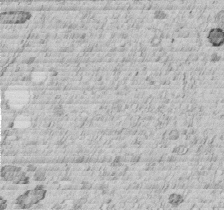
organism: C. elegans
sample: C. elegans embryo early stage